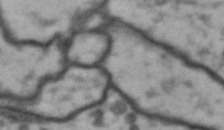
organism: Drosophila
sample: Brain